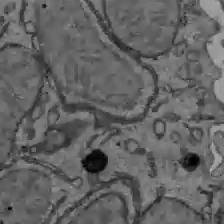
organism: C57BL Mouse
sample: Liver